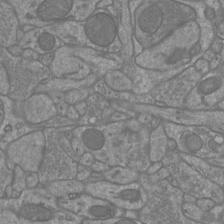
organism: Mouse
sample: Cortical neurons